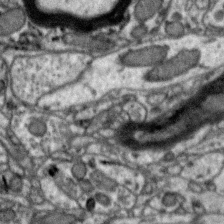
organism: Zebra finch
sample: Brain